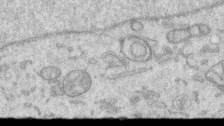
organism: Human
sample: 1205lu cells